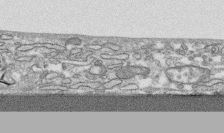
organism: Human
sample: CRL-1474